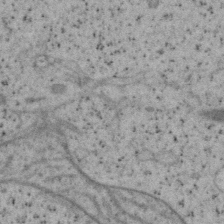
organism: Human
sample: HeLa cells